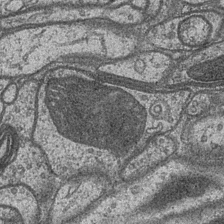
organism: Drosophila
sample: Optic medulla